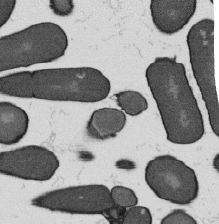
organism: B. subtilis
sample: Bacterial spore